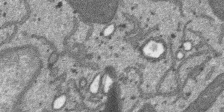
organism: Human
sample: Lung epithelial cells infected with SARS-CoV-2